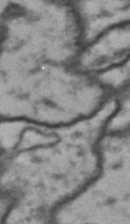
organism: Drosophila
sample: Brain